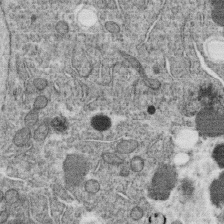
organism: C. elegans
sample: C. elegans oocyte; sperm cells